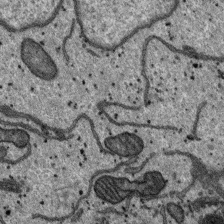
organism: Human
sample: Lung epithelial cells, uninfected (mock) control